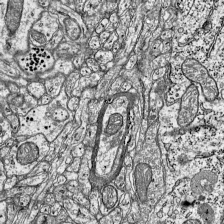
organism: Mouse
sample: Visual Cortex